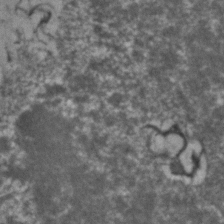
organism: Zebrafish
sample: Zebrafish embryo